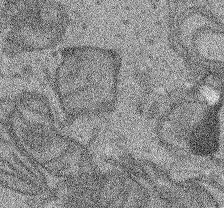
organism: Human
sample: HeLa cells